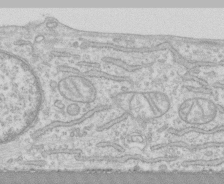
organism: Human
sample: CRL-1474